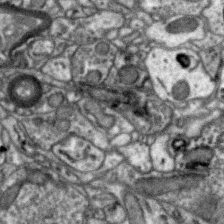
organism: Zebra finch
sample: Brain